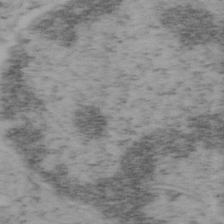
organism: Mouse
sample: OT-I killer T cells with ID8 ovarian cancer cells